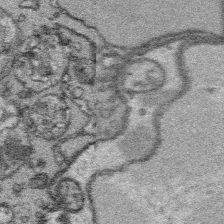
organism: Platynereis dumerilii